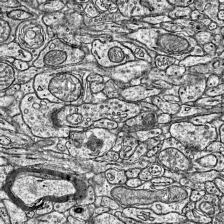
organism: Mouse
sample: Visual Cortex